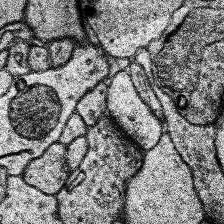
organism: Human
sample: Temporal Lobe